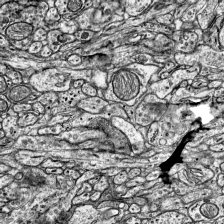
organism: Mouse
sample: Visual Cortex